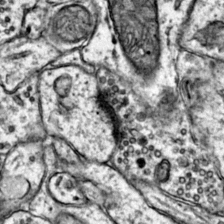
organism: Mouse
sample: Primary visual cortex